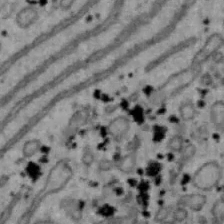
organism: Mouse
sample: Liver